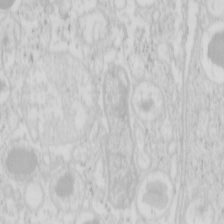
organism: Mouse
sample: Pancreas